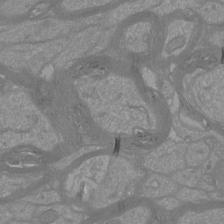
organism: Mouse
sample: Cortical neurons